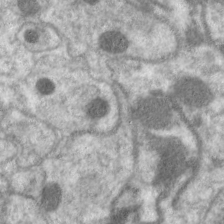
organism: C. elegans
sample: Pharynx